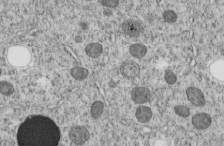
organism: C. elegans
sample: C. elegans embryo early stage